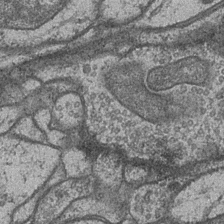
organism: Drosophila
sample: Optic medulla